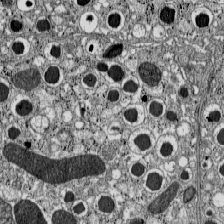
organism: C57BL Mouse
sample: Pancreatic islet